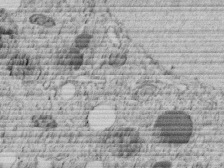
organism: C. elegans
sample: C. elegans embryo early stage